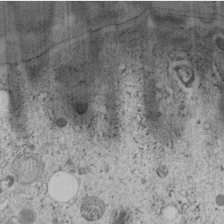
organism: C. elegans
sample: C. elegans embryo early stage